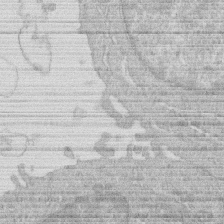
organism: Human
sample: Macrophage cells